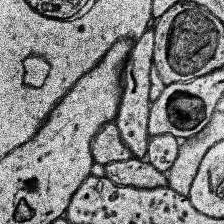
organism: Human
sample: Temporal Lobe